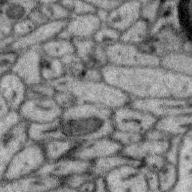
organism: Zebra finch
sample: Brain